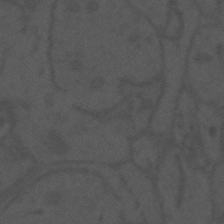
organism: Mouse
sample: Suprachiasmatic nucleus